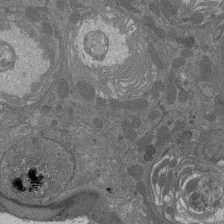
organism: Drosophila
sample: Antenna